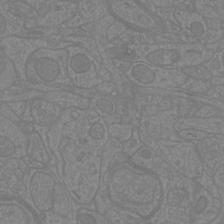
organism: Mouse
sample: Cortical neurons